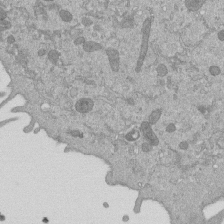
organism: Mouse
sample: ED-1 cell nuclei; centrioles